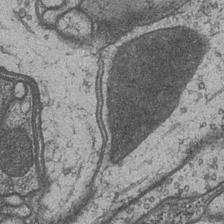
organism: Drosophila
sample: Optic medulla